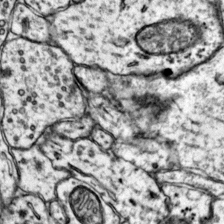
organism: Mouse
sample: Primary visual cortex